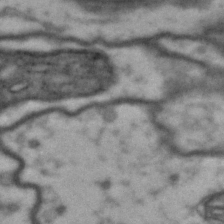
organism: Drosophila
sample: Brain